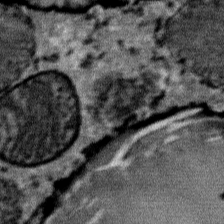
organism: Mouse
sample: Mouse Salivary gland